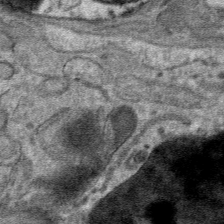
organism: Mouse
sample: Mouse hepatocytes